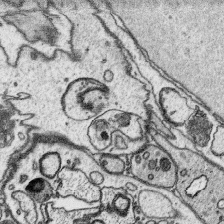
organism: Platynereis dumerilii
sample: Parapodia